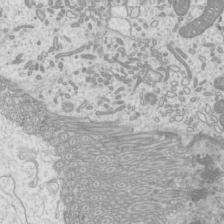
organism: Mouse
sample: Cilia; mouse epididymis